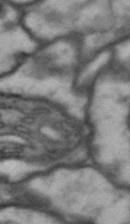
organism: Drosophila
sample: Brain